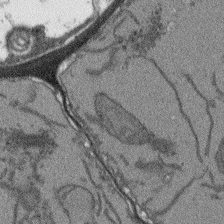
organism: Arabidopsis thaliana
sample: Root tip